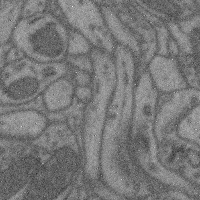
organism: Mouse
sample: Cerebral cortex